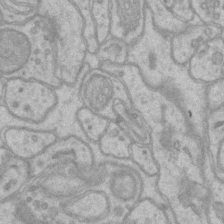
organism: Mouse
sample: CA1 Hippocampus